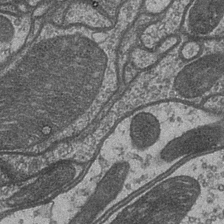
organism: Drosophila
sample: Optic medulla